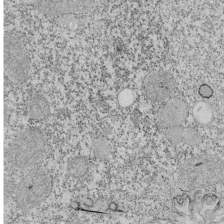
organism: Tetrahymena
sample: Cilia in tetrahymena